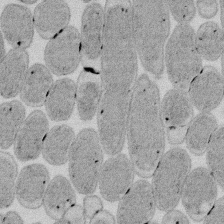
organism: E. coli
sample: Bacterial nucleoid